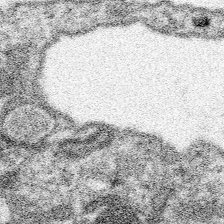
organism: Spongilla lacustris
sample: Neuroid cell